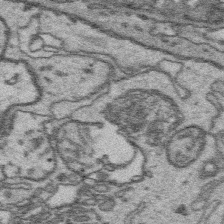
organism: Platynereis dumerilii